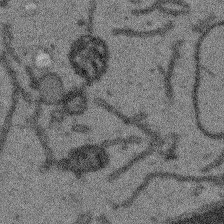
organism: Arabidopsis thaliana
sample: Root tip